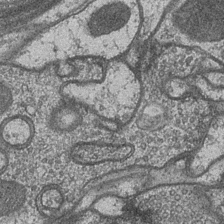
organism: Drosophila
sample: Optic medulla